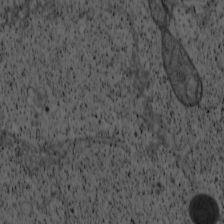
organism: African green monkey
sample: COS-7 cells